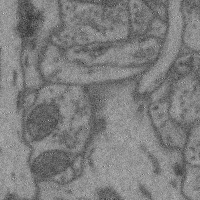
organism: Mouse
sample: Cerebral cortex